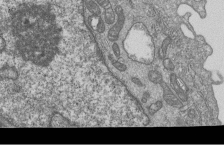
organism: Human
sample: MDA-MB-231 cells